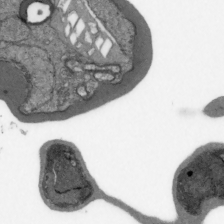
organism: Plasmodium falciparum